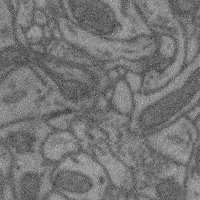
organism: Mouse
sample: Cerebral cortex